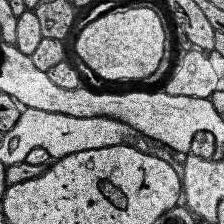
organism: Human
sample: Temporal Lobe